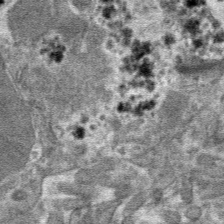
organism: Mouse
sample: Mouse hepatocytes